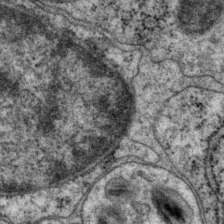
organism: P. pacificus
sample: Pharynx